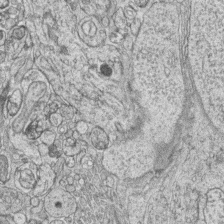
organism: Zebrafish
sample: synaptic ribbons in rod cells and cone cells